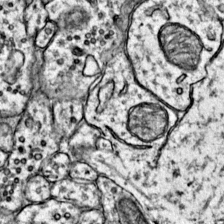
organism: Mouse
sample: Primary visual cortex